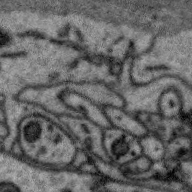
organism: Zebra finch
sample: Brain